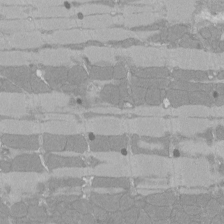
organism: Rat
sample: Left ventricle